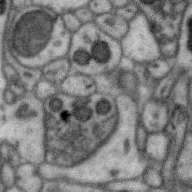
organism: Zebra finch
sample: Brain